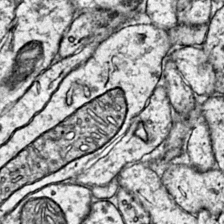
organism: Mouse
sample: Primary visual cortex